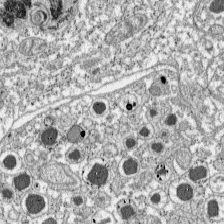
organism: C57BL Mouse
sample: Pancreatic islet